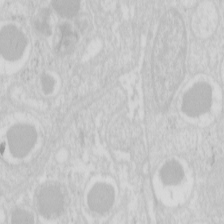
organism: Mouse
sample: Pancreas